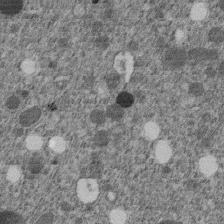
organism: C. elegans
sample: C. elegans embryo early stage